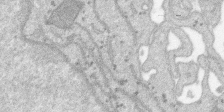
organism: Human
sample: Lung epithelial cells infected with SARS-CoV-2